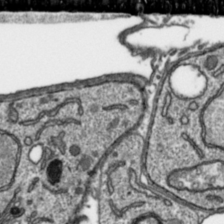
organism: Toxoplasma gondii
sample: Parasites in a vacuole inside a host cell